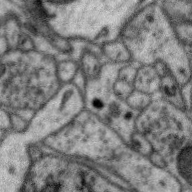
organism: Zebra finch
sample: Brain